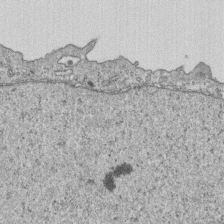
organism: Human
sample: HeLa cell HIV synapse